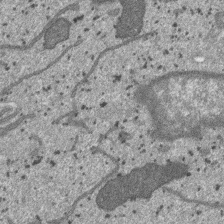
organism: Human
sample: Lung epithelial cells infected with SARS-CoV-2